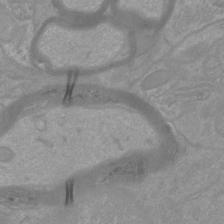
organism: Mouse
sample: Cortical neurons